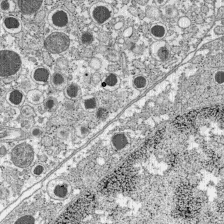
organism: C57BL Mouse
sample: Pancreatic islet